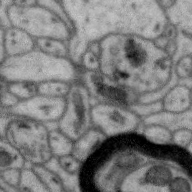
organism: Zebra finch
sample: Brain